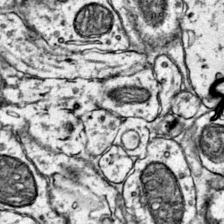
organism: Mouse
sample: Primary visual cortex